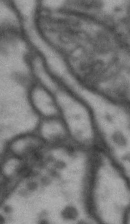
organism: Drosophila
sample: Brain